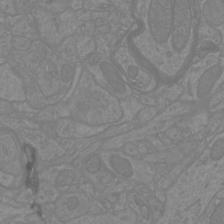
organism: Mouse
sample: Cortical neurons